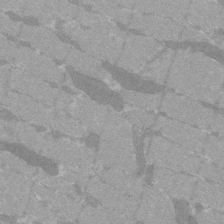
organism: C57BL Mouse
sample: Tibialis anterior muscle cell